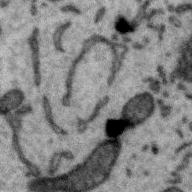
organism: Zebra finch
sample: Brain